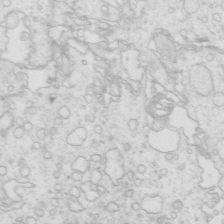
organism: Mouse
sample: Multiciliated cells